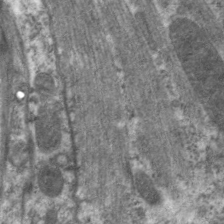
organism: C. elegans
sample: Pharynx